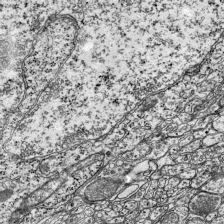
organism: Mouse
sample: Visual Cortex